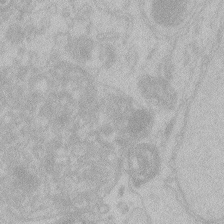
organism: Zebrafish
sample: Macrophage infected with Toxoplasma gondii